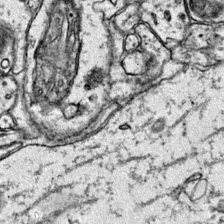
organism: Mouse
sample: Primary visual cortex